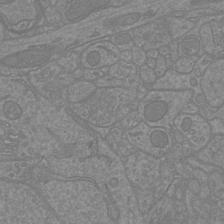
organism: Mouse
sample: Cortical neurons